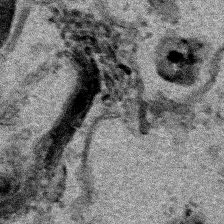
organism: Human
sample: Mitochondria in HCT116 cells